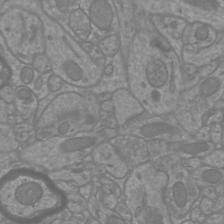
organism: Mouse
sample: Cortical neurons